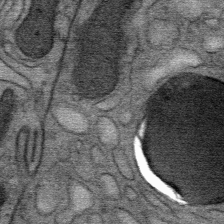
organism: Mouse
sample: Mouse Salivary gland